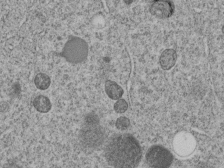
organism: C. elegans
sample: C. elegans embryo early stage